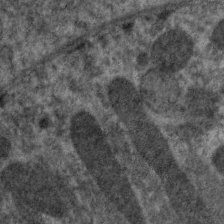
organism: C. elegans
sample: Pharynx